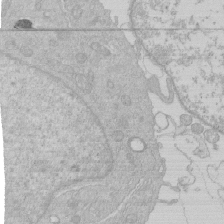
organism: Human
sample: Macrophage cells